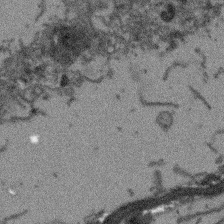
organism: Arabidopsis thaliana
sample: Root tip